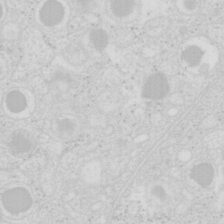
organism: Mouse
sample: Pancreas